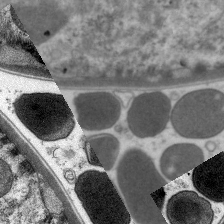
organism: C. elegans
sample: Pharynx